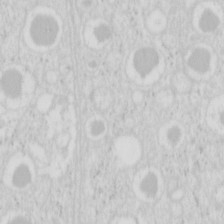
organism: Mouse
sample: Pancreas